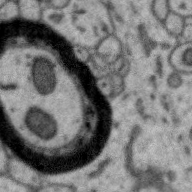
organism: Zebra finch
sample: Brain